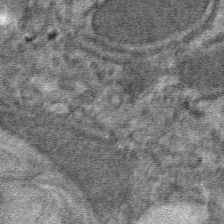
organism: Mouse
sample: Mouse hepatocytes